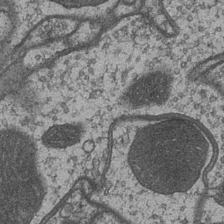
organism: Drosophila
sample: Optic medulla